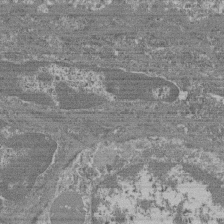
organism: Mouse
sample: Glomerulus